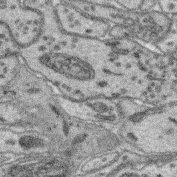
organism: Mouse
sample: Retina